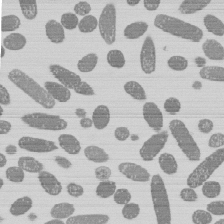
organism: E. coli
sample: Bacterial nucleoid